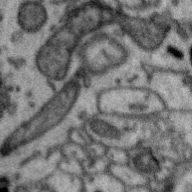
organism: Zebra finch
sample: Brain